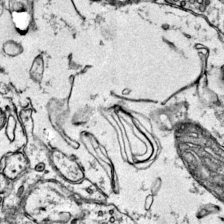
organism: Mouse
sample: Primary visual cortex